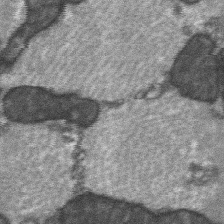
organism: C57BL Mouse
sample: Soleus